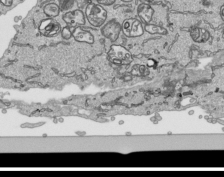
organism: Human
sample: Mitochondria in HCT116 cells